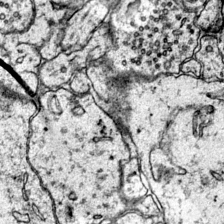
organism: Mouse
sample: Primary visual cortex